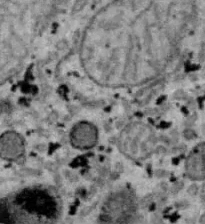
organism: Mouse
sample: Liver from an obese (ob/ob) mouse